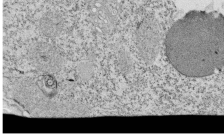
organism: Tetrahymena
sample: Cilia in tetrahymena